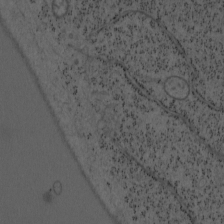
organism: Mouse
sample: OT-I killer T cells with ID8 ovarian cancer cells